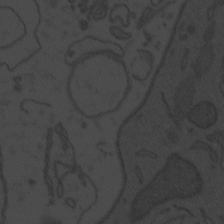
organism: Zebrafish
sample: Macrophage infected with Toxoplasma gondii